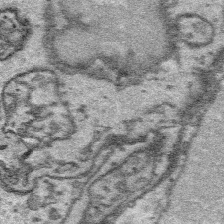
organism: Platynereis dumerilii